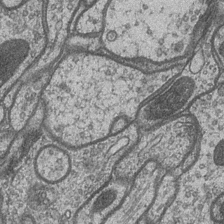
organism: Drosophila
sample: Optic medulla